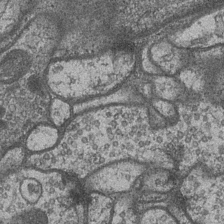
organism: Drosophila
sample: Optic medulla